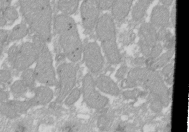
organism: Xenopus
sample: Cilia; centrioles in frog embryo cells